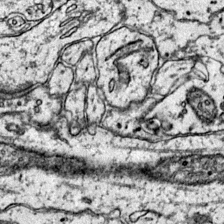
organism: Mouse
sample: Primary visual cortex